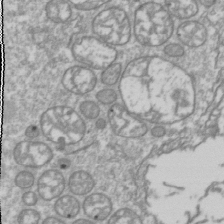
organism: Drosophila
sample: Cell division; meiosis; drosophila spermatocytes